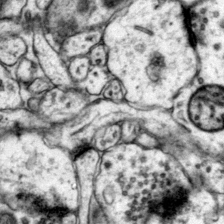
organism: Mouse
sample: Primary visual cortex